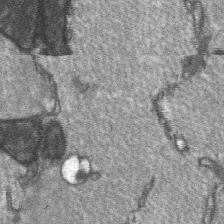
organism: C57BL Mouse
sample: Soleus